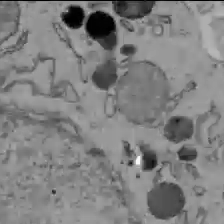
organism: C57BL Mouse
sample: Liver